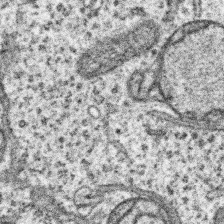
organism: Human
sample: HeLa cells